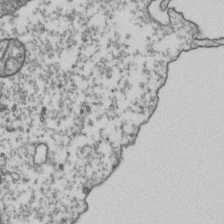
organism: Human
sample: Activated Jurkat CD4+ T cells